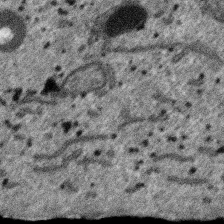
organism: Human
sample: Lung epithelial cells infected with SARS-CoV-2